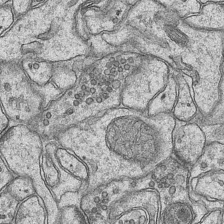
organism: Mouse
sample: CA1 Hippocampus